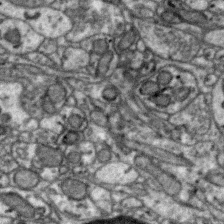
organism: Zebra finch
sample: Brain